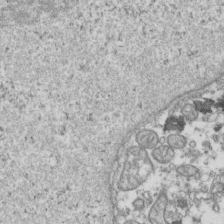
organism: Human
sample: Activated Jurkat CD4+ T cells